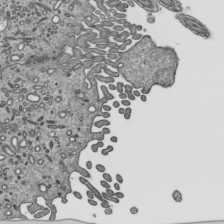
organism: Mouse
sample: Mouse epididymis efferent ductule cilia